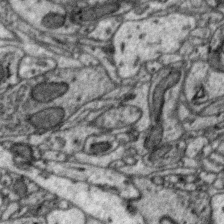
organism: Zebra finch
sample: Brain